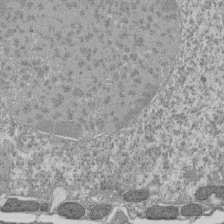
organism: Tetrahymena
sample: Cilia in tetrahymena